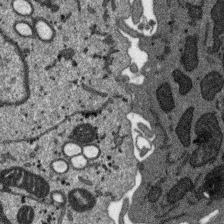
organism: Human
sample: Lung epithelial cells infected with SARS-CoV-2